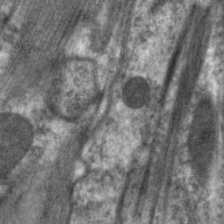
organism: C. elegans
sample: Pharynx